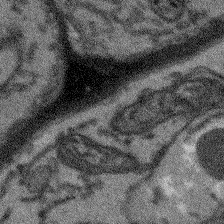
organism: Arabidopsis thaliana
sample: Root tip